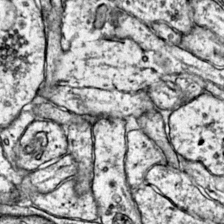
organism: Mouse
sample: Primary visual cortex